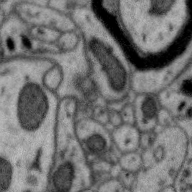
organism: Zebra finch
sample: Brain